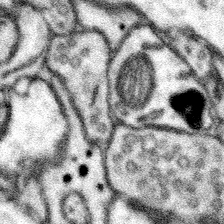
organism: Mouse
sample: Somatosensory cortex neuropil